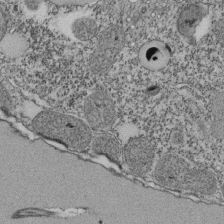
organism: Tetrahymena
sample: Cilia in tetrahymena